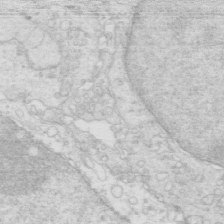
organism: Mouse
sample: Multiciliated cells